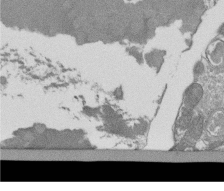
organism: Tetrahymena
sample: Cilia in tetrahymena